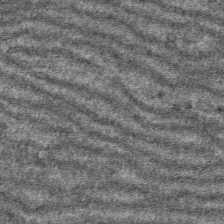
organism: Mouse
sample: Mouse hepatocytes